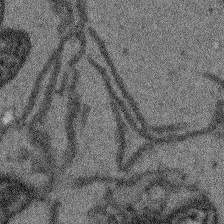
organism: Arabidopsis thaliana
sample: Root tip